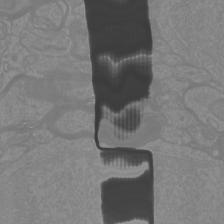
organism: Mouse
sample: Cortical neurons